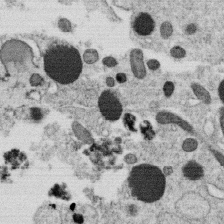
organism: C. elegans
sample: C. elegans oocyte; sperm cells